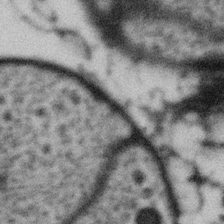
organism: Gemmata obscuriglobus